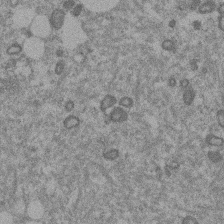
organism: Mouse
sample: Dividing mouse embryo 1 cell stage